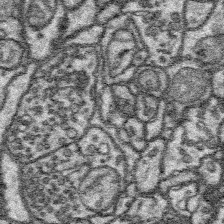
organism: Platynereis dumerilii